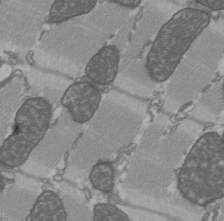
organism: C57BL Mouse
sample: Heart